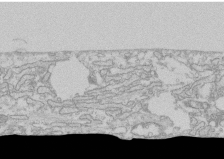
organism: Human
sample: CRL-1474